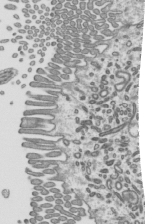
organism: Mouse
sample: Mouse epididymis efferent ductule cilia